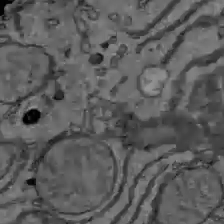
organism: C57BL Mouse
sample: Liver